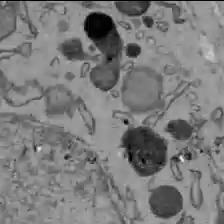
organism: C57BL Mouse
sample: Liver